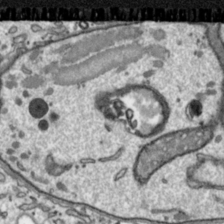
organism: Toxoplasma gondii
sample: Parasites in a vacuole inside a host cell